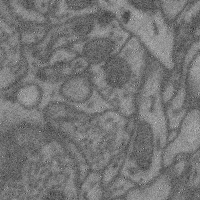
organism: Mouse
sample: Cerebral cortex